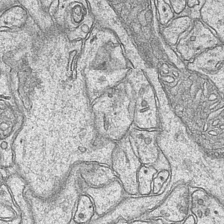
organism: Mouse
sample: CA1 Hippocampus